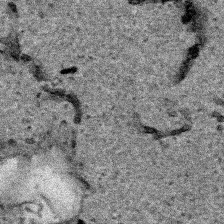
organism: Human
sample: Mitochondria in HCT116 cells